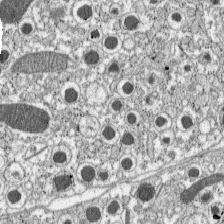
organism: C57BL Mouse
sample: Pancreatic islet